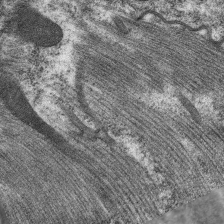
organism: C. elegans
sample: Pharynx